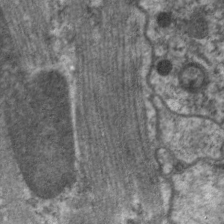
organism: C. elegans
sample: Pharynx